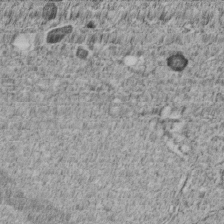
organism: C. elegans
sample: C. elegans embryo early stage